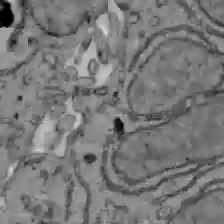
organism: C57BL Mouse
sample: Liver